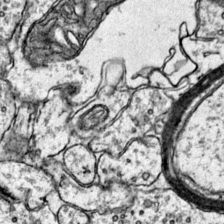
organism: Mouse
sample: Primary visual cortex